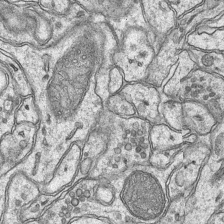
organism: Mouse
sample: CA1 Hippocampus